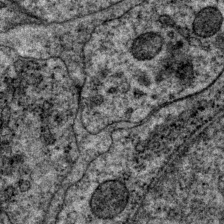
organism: P. pacificus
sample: Pharynx